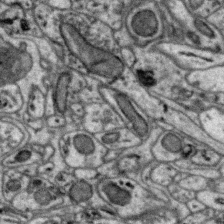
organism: Zebra finch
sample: Brain